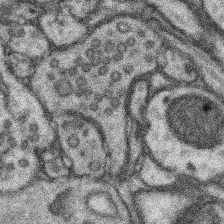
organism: Mouse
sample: Somatosensory cortex neuropil